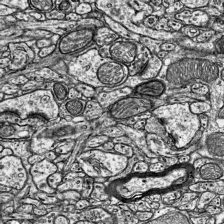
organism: Mouse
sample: Visual Cortex